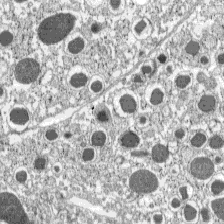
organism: C57BL Mouse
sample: Pancreatic islet